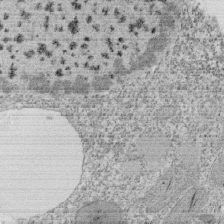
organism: Tetrahymena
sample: Cilia in tetrahymena